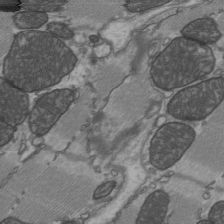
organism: C57BL Mouse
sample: Heart